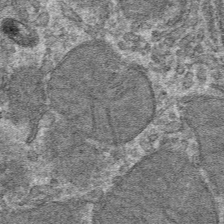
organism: Mouse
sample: Mouse hepatocytes